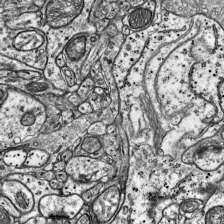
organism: Mouse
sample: Visual Cortex